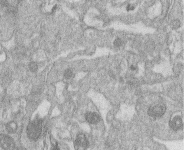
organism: Human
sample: Macrophage cells